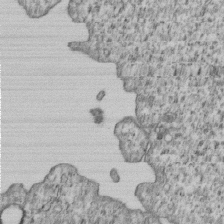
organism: Human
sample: MDA-MB-231 cells